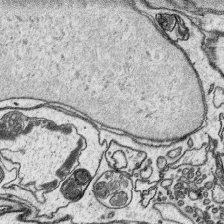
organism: Platynereis dumerilii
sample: Parapodia